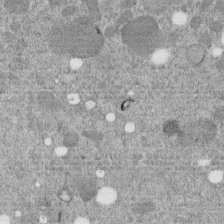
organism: C. elegans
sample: C. elegans embryo early stage